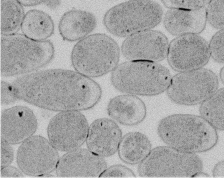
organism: E. coli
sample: Bacterial nucleoid